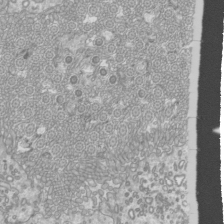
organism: Mouse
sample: Cilia; mouse epididymis